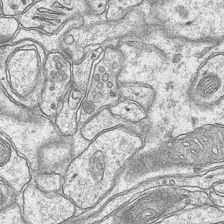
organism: Mouse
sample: CA1 Hippocampus